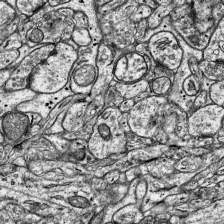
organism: Mouse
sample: Visual Cortex